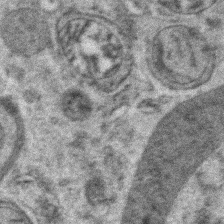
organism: Zebrafish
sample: Zebrafish embryo